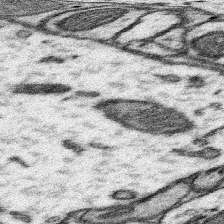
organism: Mouse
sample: Somatosensory cortex neuropil